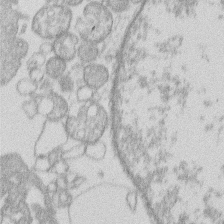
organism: Human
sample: Macrophage cells